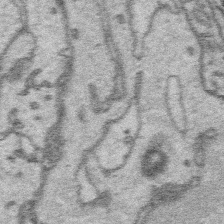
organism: Platynereis dumerilii